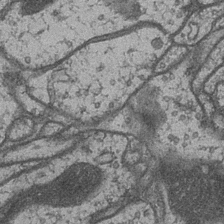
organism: Drosophila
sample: Optic medulla